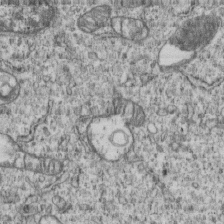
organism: Human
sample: MDA-MB-231 cells